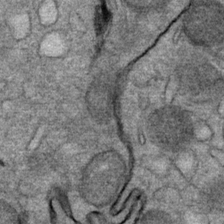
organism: Mouse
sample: Mouse Salivary gland